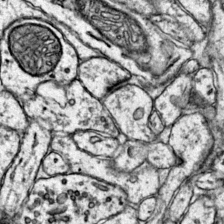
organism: Mouse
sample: Primary visual cortex